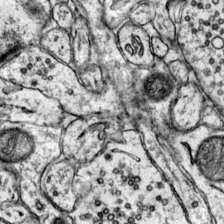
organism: Mouse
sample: Primary visual cortex